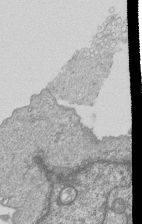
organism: Human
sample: MDA-MB-231 cells